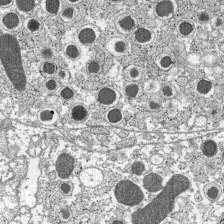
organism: C57BL Mouse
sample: Pancreatic islet